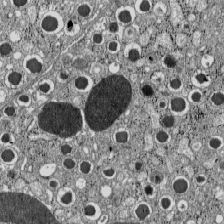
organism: C57BL Mouse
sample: Pancreatic islet